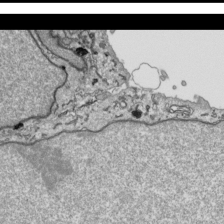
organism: Human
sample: Mitochondria in HCT116 cells